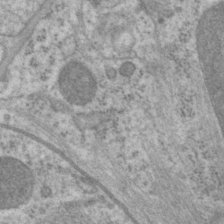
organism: P. pacificus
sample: Pharynx